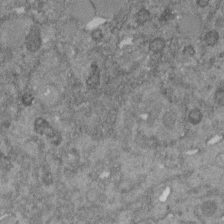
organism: C. elegans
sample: C. elegans embryo early stage